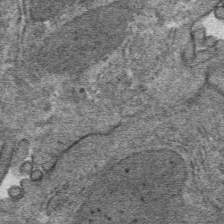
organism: Mouse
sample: Mouse hepatocytes